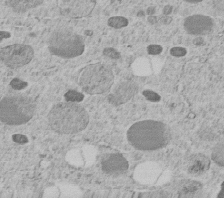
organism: C. elegans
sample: C. elegans embryo early stage